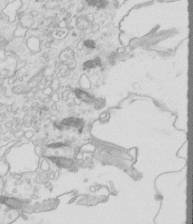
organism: Mouse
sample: Multiciliated cells